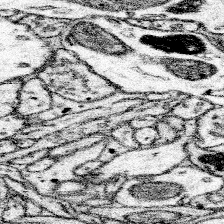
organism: Mouse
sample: Somatosensory cortex neuropil